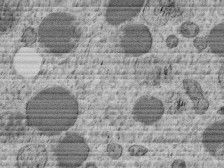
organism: C. elegans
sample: C. elegans embryo early stage